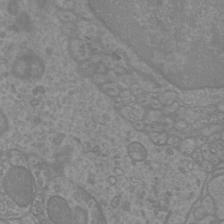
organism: Mouse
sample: Cortical neurons